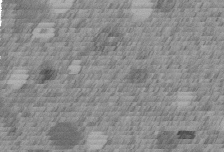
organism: C. elegans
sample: C. elegans embryo early stage